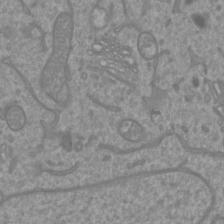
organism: Mouse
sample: Cortical neurons